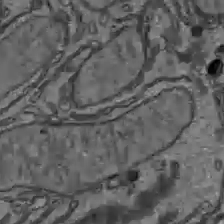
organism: C57BL Mouse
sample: Liver